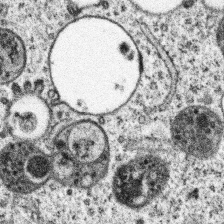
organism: Human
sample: HeLa cells